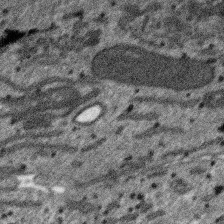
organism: Human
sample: Lung epithelial cells infected with SARS-CoV-2